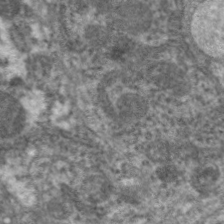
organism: C. elegans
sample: Pharynx